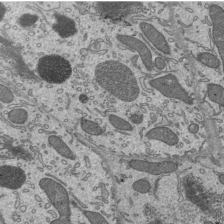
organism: Mouse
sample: Mouse epididymis efferent ductule cilia